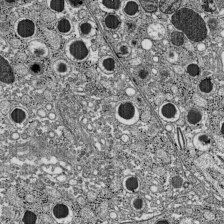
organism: C57BL Mouse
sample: Pancreatic islet